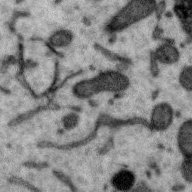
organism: Zebra finch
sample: Brain